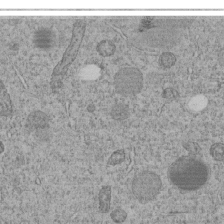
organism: C. elegans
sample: C. elegans embryo early stage